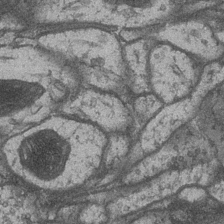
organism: Drosophila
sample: Optic medulla